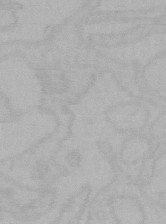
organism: Mouse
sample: Choroid plexus